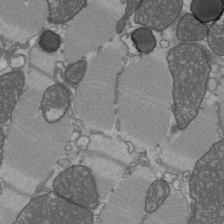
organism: C57BL Mouse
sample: Heart